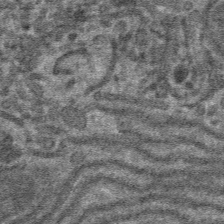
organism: Mouse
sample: Mouse hepatocytes